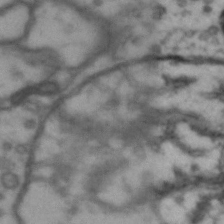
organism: Drosophila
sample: Brain